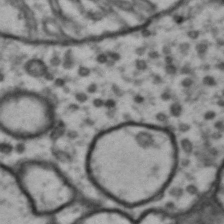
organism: Drosophila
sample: Brain